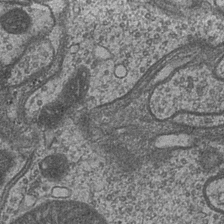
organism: Drosophila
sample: Optic medulla